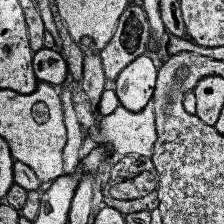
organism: Human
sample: Temporal Lobe